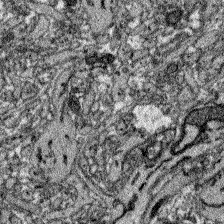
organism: Zebrafish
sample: Larval olfactory bulb